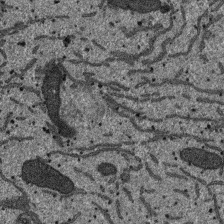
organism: Human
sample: Lung epithelial cells infected with SARS-CoV-2